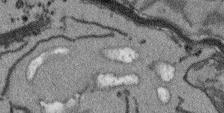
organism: Arabidopsis thaliana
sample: Root tip